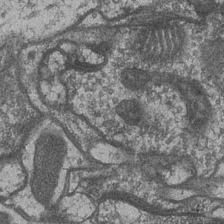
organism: Drosophila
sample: Optic medulla